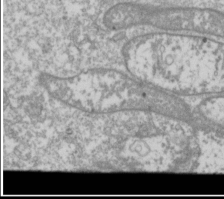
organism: Drosophila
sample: Cell division; meiosis; drosophila spermatocytes